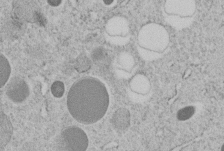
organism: C. elegans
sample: C. elegans embryo early stage